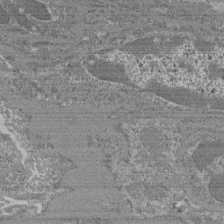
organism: Mouse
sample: Glomerulus